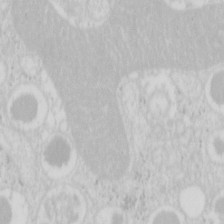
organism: Mouse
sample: Pancreas